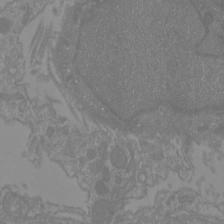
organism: Mouse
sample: Cortical neurons